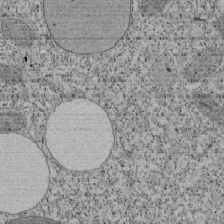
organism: Tetrahymena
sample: Cilia in tetrahymena